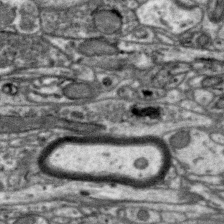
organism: Zebra finch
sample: Brain